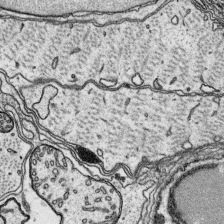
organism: Platynereis dumerilii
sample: Parapodia